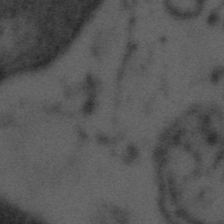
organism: Tuwongella immobilis